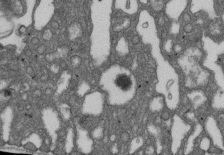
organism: Drosophila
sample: Nephrocyte